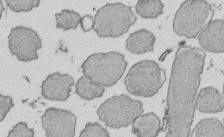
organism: E. coli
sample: Bacterial nucleoid